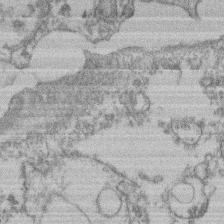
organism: Mouse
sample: T cell stromal cell synapse